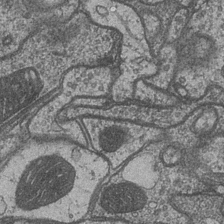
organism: Drosophila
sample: Optic medulla